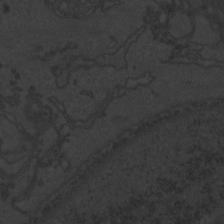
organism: Zebrafish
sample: Macrophage infected with Toxoplasma gondii